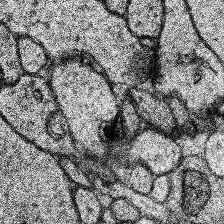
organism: Human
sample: Temporal Lobe